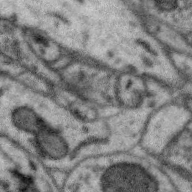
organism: Zebra finch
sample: Brain